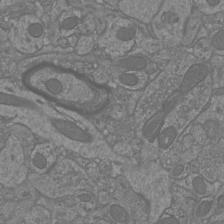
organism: Mouse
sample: Cortical neurons